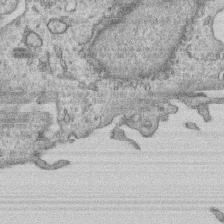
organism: Human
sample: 1205lu cells